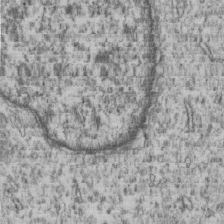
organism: Human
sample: MDA-MB-231 cells